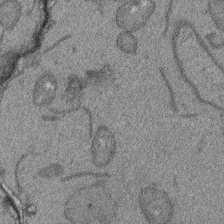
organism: Arabidopsis thaliana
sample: Root tip